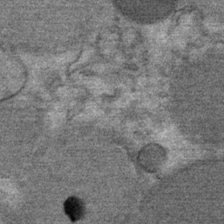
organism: Mouse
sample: Mouse Salivary gland